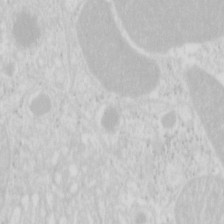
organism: Mouse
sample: Pancreas